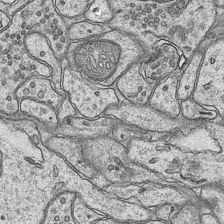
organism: Mouse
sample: CA1 Hippocampus